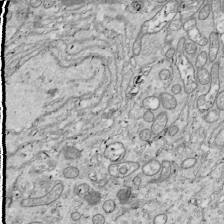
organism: Drosophila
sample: Cell division; meiosis; drosophila spermatocytes